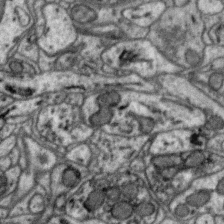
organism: Zebra finch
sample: Brain